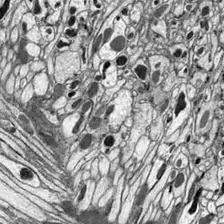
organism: Drosophila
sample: Optic lobe